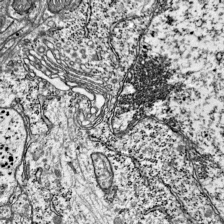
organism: Mouse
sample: Visual Cortex